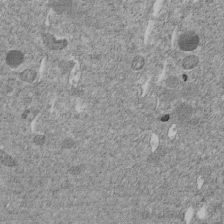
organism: C. elegans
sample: C. elegans embryo early stage